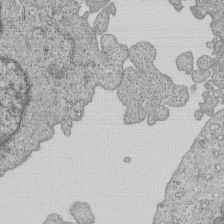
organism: Human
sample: MDA-MB-231 cells